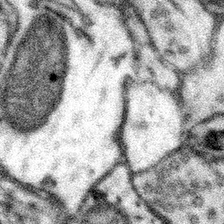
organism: Mouse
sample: Somatosensory cortex neuropil